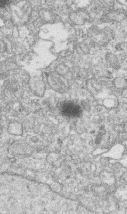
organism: Human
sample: HeLa cell HIV synapse